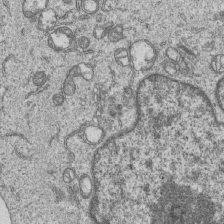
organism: Human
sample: MDA-MB-231 cells